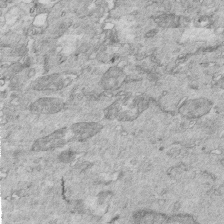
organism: Mouse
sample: Multiciliated cells